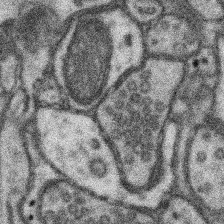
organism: Mouse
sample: Somatosensory cortex neuropil